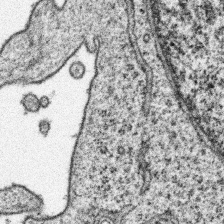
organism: Human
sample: HeLa cells